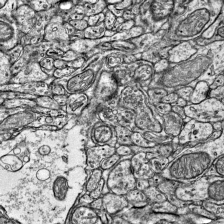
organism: Mouse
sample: Visual Cortex